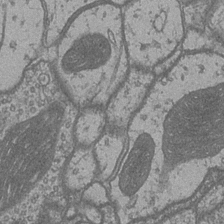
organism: Drosophila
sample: Optic medulla